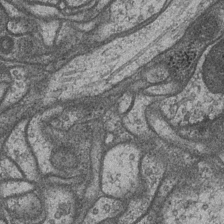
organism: Drosophila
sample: Optic medulla